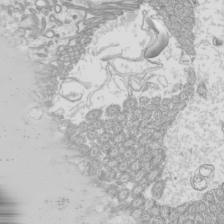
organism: Mouse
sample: Cilia; mouse epididymis